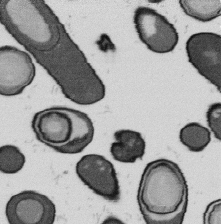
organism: B. subtilis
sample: Bacterial spore